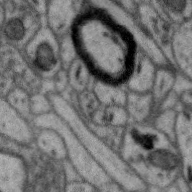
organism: Zebra finch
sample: Brain